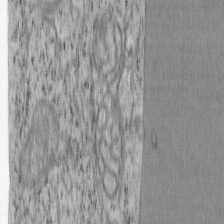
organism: Human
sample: HeLa cells